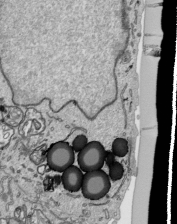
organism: Human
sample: Mitochondria in HCT116 cells